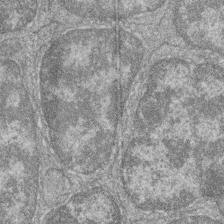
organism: Zebrafish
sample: Cilia; retinal pigment epithelium